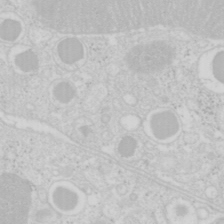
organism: Mouse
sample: Pancreas